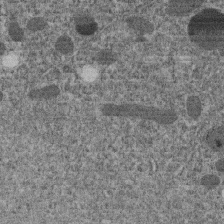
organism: C. elegans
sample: C. elegans embryo early stage